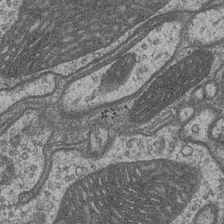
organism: Drosophila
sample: Optic medulla